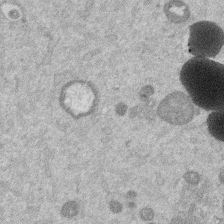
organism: Mouse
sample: Dividing mouse embryo 1 cell stage